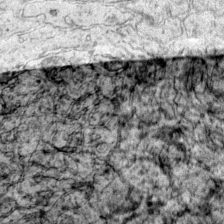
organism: Mouse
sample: Primary visual cortex